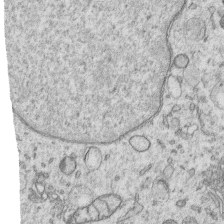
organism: Human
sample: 1205lu cells